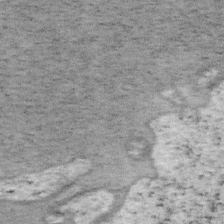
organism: Mouse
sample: OT-I killer T cells with ID8 ovarian cancer cells